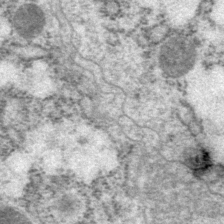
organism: P. pacificus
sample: Pharynx